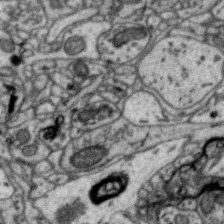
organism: Zebra finch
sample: Brain